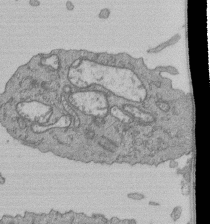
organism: Human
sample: Retinal organoid Rod and Cone cells